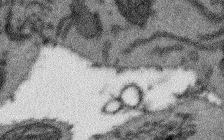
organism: Arabidopsis thaliana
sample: Root tip